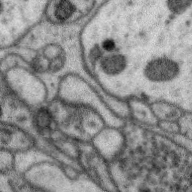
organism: Zebra finch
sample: Brain